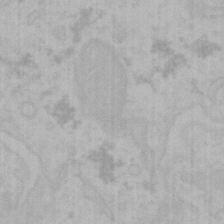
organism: Mouse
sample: Choroid plexus